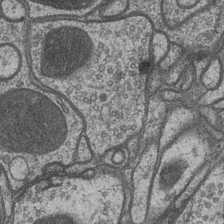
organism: Drosophila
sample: Optic medulla